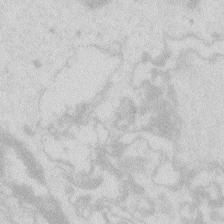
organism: Zebrafish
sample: Macrophage